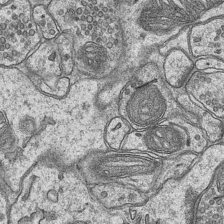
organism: Mouse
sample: CA1 Hippocampus